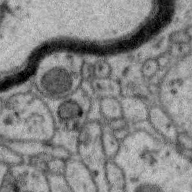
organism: Zebra finch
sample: Brain